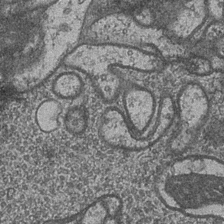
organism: Drosophila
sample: Optic medulla